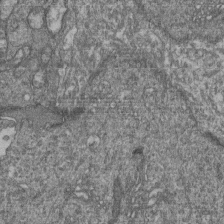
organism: Human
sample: Retinal organoid Rod and Cone cells